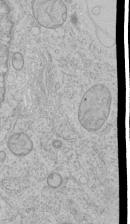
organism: Human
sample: Mitochondria in HCT116 cells